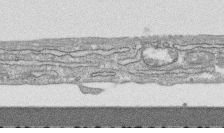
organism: Human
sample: CRL-1474